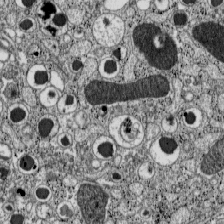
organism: C57BL Mouse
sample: Pancreatic islet